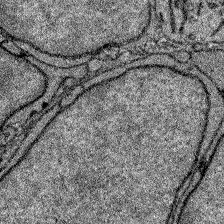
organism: Zebrafish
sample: Larval olfactory bulb